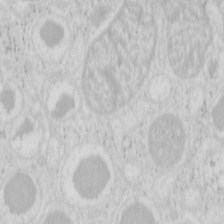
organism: Mouse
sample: Pancreas